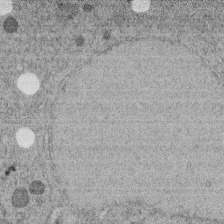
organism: C. elegans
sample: C. elegans embryo early stage